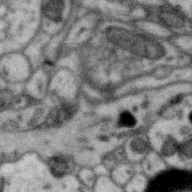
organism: Zebra finch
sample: Brain